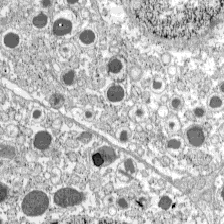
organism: C57BL Mouse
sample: Pancreatic islet